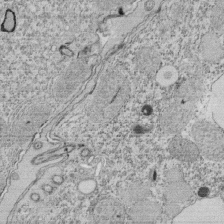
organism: Tetrahymena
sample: Cilia in tetrahymena